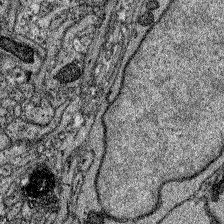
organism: Zebrafish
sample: Larval olfactory bulb